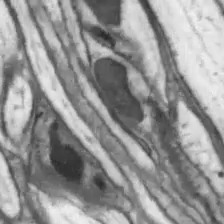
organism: Drosophila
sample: Optic lobe